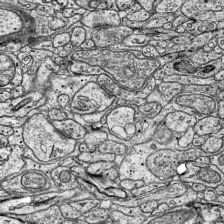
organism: Mouse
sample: Visual Cortex